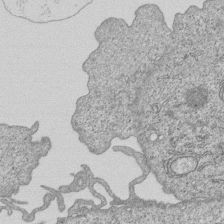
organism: Human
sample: MDA-MB-231 cells